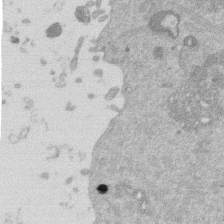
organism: Mouse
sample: Dividing mouse embryo 1 cell stage